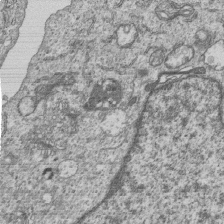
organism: Human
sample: MDA-MB-231 cells